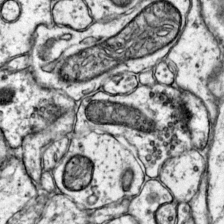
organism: Mouse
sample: Primary visual cortex